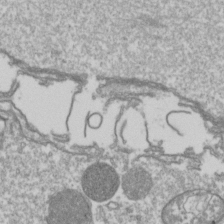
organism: Drosophila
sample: Cell division; meiosis; drosophila spermatocytes